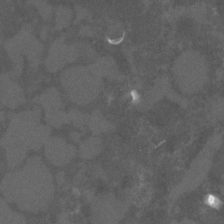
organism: C. elegans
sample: C. elegans embryo